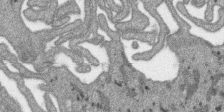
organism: Human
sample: Lung epithelial cells infected with SARS-CoV-2